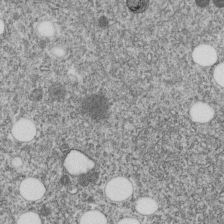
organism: C. elegans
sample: C. elegans embryo early stage